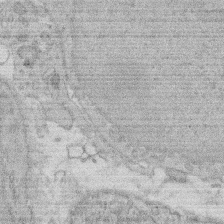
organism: Rat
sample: Salivary granule